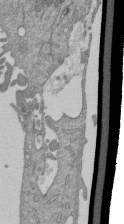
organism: Mouse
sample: ED-1 cell nuclei; centrioles